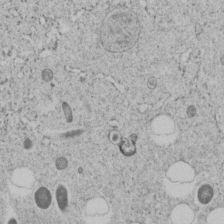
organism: C. elegans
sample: C. elegans embryo early stage